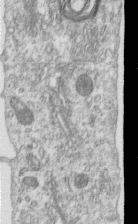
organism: Human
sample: Centriole in RPE cells